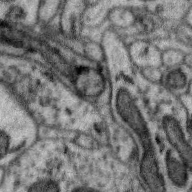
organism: Zebra finch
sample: Brain